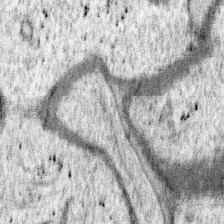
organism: Human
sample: HeLa cells